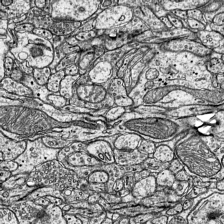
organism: Mouse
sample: Visual Cortex